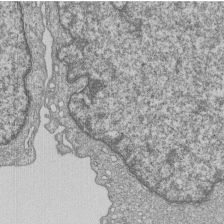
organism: Human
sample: MDA-MB-231 cells